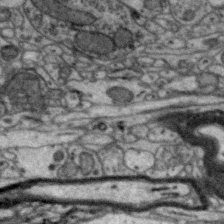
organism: Zebra finch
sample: Brain